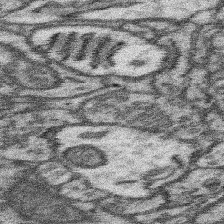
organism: Mouse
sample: Somatosensory cortex neuropil